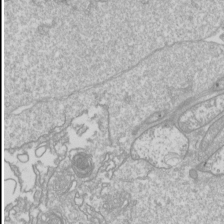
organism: Drosophila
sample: Cell division; meiosis; drosophila spermatocytes